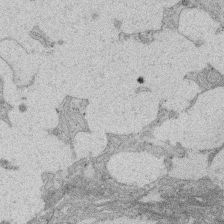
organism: Rat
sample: Salivary granule